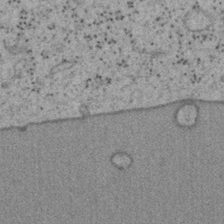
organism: Human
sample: HeLa cells